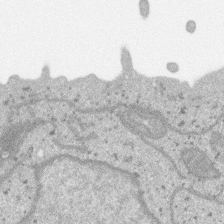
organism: Human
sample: Lung epithelial cells infected with SARS-CoV-2